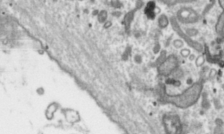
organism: Toxoplasma gondii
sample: Parasites in a vacuole inside a host cell